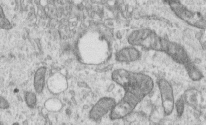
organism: Human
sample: Centriole in RPE cells